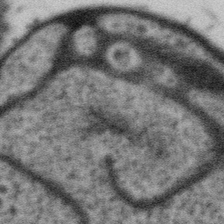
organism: Gemmata obscuriglobus